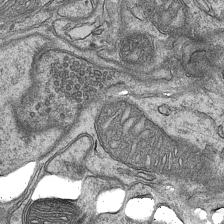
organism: Mouse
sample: CA1 Hippocampus